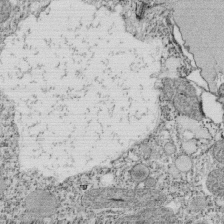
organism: Tetrahymena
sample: Cilia in tetrahymena